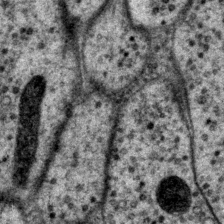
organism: P. pacificus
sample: Pharynx